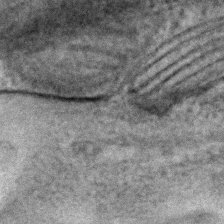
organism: C. elegans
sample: C. elegans embryo